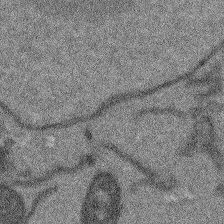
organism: Arabidopsis thaliana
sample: Root tip